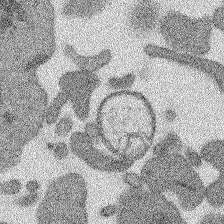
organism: Human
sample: HeLa cells